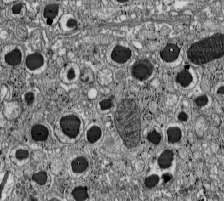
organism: C57BL Mouse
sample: Pancreatic islet